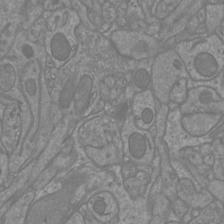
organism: Mouse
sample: Cortical neurons